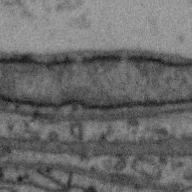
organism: Zebra finch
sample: Brain